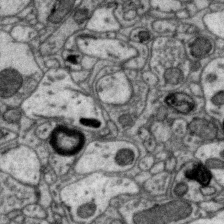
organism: Zebra finch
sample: Brain